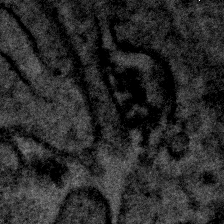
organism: Human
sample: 1205lu cells